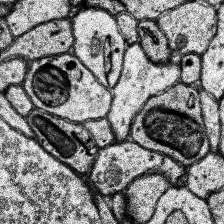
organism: Human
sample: Temporal Lobe